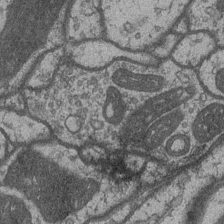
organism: Drosophila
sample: Optic medulla